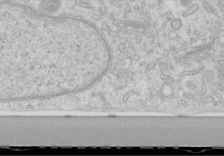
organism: Human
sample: Centriole in RPE cells